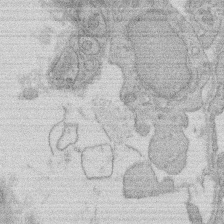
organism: Rat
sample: Salivary granule